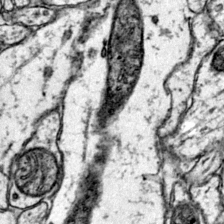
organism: Mouse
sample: Primary visual cortex